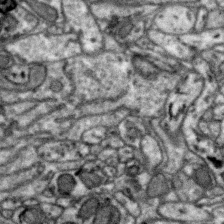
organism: Zebra finch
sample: Brain